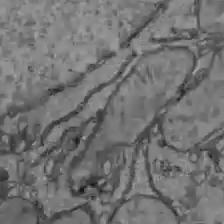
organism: C57BL Mouse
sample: Liver